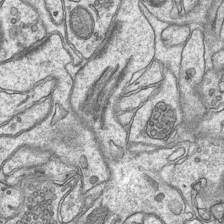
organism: Mouse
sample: CA1 Hippocampus